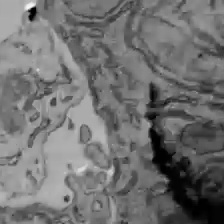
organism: C57BL Mouse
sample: Liver